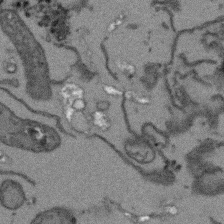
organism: Arabidopsis thaliana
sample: Root tip